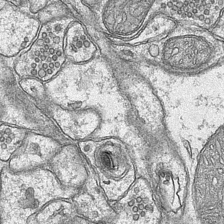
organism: Mouse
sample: CA1 Hippocampus